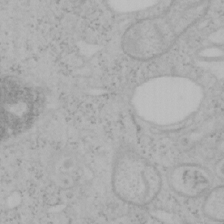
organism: Mouse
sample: OT-I killer T cells with ID8 ovarian cancer cells